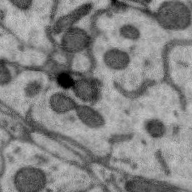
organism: Zebra finch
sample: Brain